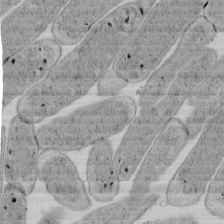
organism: E. coli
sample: Bacterial nucleoid